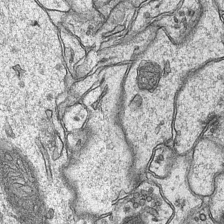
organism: Mouse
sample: CA1 Hippocampus